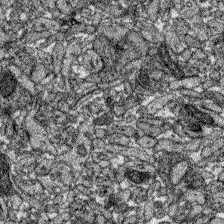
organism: Zebrafish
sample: Larval olfactory bulb